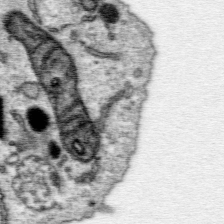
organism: Human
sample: HeLa cells